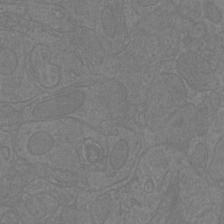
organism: Mouse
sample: Cortical neurons